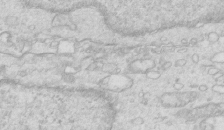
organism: Mouse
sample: Multiciliated cells